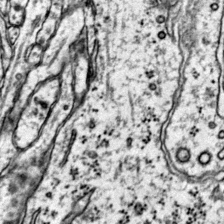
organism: Mouse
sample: Primary visual cortex